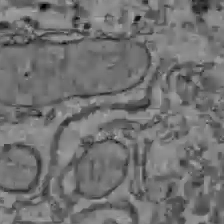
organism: C57BL Mouse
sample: Liver